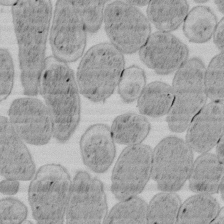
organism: E. coli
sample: Bacterial nucleoid